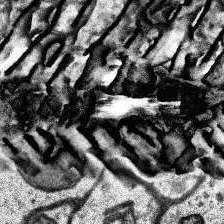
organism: Human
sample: Temporal Lobe